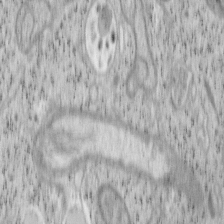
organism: Human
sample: HeLa cells